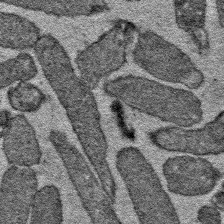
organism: E. coli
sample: E. Coli Bacteria